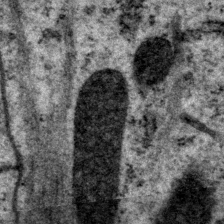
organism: P. pacificus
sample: Pharynx